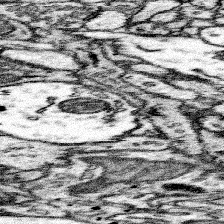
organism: Mouse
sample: Somatosensory cortex neuropil